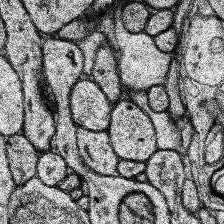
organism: Human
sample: Temporal Lobe